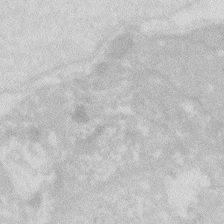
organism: Zebrafish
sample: Macrophage